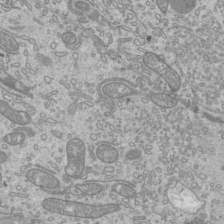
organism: Mouse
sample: Cilia; mouse epididymis